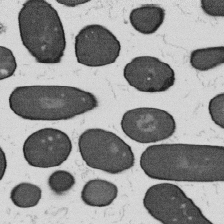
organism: B. subtilis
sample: Bacterial spore